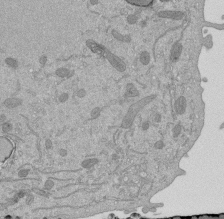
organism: Mouse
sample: ED-1 cell nuclei; centrioles